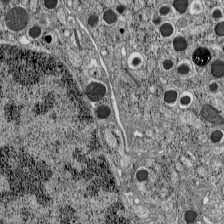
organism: C57BL Mouse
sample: Pancreatic islet